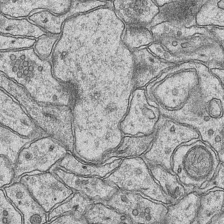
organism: Mouse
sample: CA1 Hippocampus